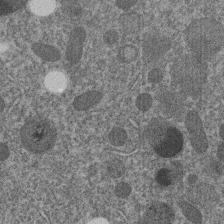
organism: C. elegans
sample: C. elegans embryo early stage